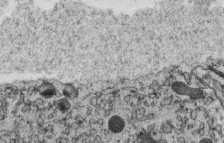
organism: C. elegans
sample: C. elegans oocyte; sperm cells